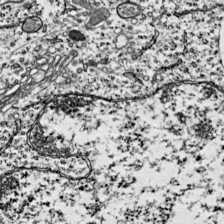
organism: Mouse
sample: Visual Cortex